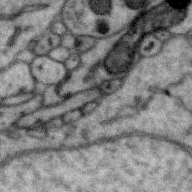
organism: Zebra finch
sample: Brain